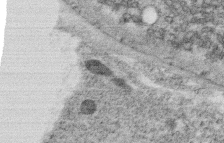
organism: C. elegans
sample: C. elegans oocyte; sperm cells